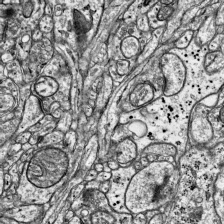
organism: Mouse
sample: Visual Cortex